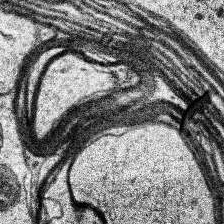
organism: Human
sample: Temporal Lobe